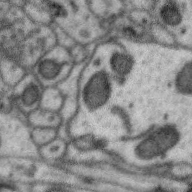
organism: Zebra finch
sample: Brain